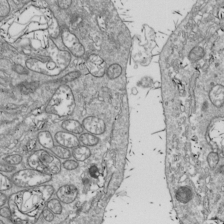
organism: Drosophila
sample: Cell division; meiosis; drosophila spermatocytes